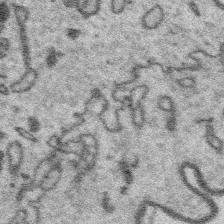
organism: Platynereis dumerilii